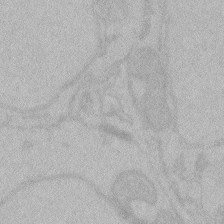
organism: Zebrafish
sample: Macrophage infected with Toxoplasma gondii